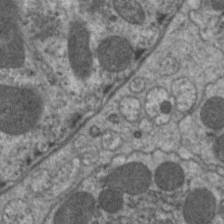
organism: C. elegans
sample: Pharynx